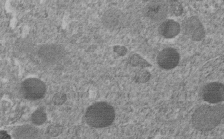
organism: C. elegans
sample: C. elegans embryo early stage